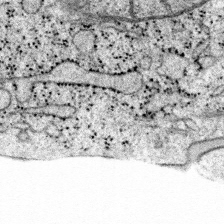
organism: Human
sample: HeLa cells